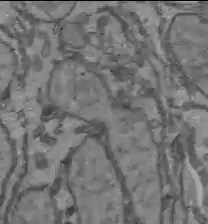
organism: C57BL Mouse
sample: Liver